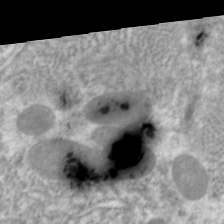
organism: C. elegans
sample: Pharynx